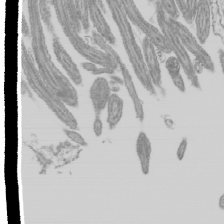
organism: Mouse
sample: Cilia; mouse epididymis